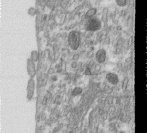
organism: Human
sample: Centriole in RPE cells